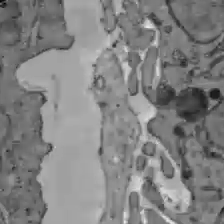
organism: C57BL Mouse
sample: Liver